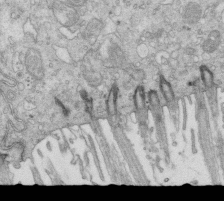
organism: Mouse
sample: Multiciliated cells